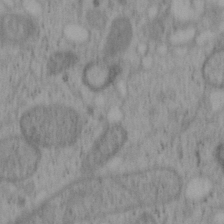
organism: Mouse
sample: OT-I killer T cells with ID8 ovarian cancer cells